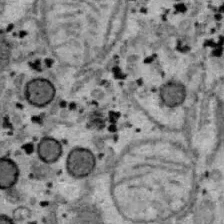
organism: Mouse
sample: Liver from an obese (ob/ob) mouse